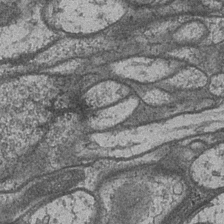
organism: Drosophila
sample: Optic medulla